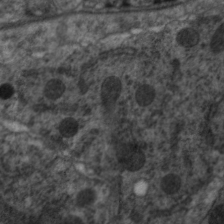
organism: C. elegans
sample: Pharynx